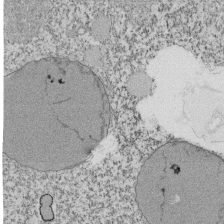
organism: Tetrahymena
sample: Cilia in tetrahymena